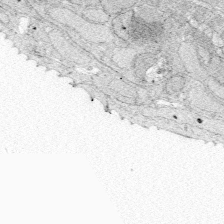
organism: Zebrafish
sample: Whole-Brain